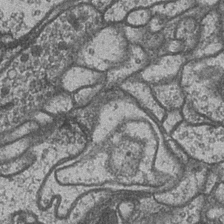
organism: Drosophila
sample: Optic medulla